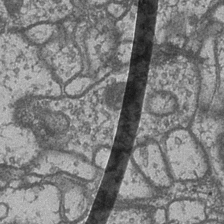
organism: Drosophila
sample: Optic medulla